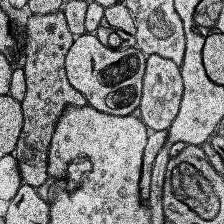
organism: Human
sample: Temporal Lobe